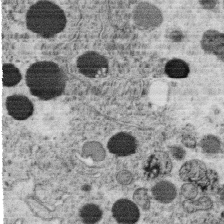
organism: C. elegans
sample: C. elegans oocyte; sperm cells